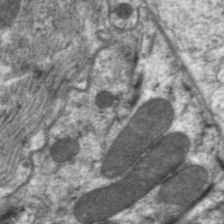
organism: C. elegans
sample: Pharynx